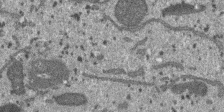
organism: Human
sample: Lung epithelial cells infected with SARS-CoV-2